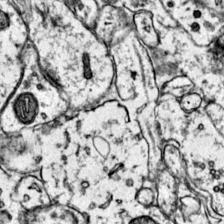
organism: Mouse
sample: Primary visual cortex